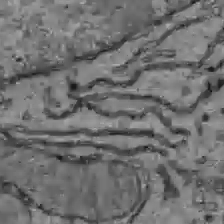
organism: C57BL Mouse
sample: Liver